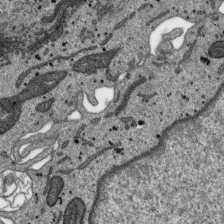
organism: Human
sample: Lung epithelial cells, uninfected (mock) control